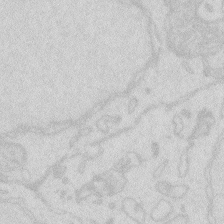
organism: Zebrafish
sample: Macrophage